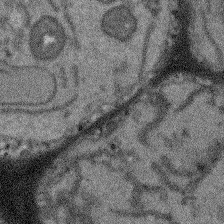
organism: Arabidopsis thaliana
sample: Root tip